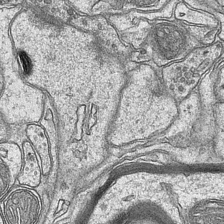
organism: Mouse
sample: CA1 Hippocampus